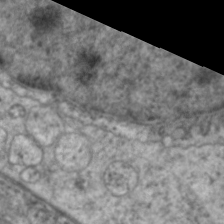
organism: C. elegans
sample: Pharynx